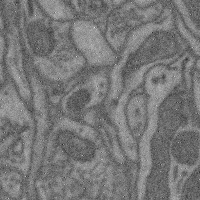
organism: Mouse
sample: Cerebral cortex